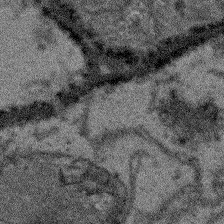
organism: Arabidopsis thaliana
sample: Root tip